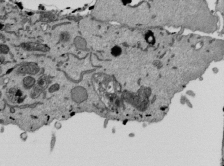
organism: Mouse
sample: ED-1 cell nuclei; centrioles